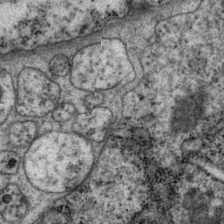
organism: P. pacificus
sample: Pharynx